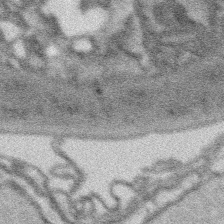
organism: Platynereis dumerilii